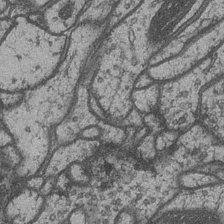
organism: Drosophila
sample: Optic medulla